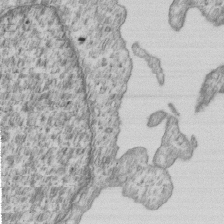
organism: Human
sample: MDA-MB-231 cells